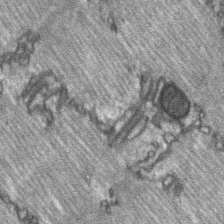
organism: C57BL Mouse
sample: Soleus